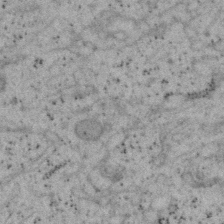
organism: Human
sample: HeLa cells